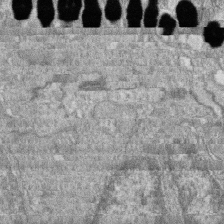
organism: Zebrafish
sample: Cilia; retinal pigment epithelium